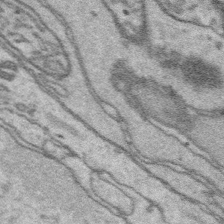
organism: Platynereis dumerilii